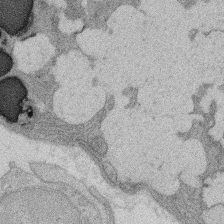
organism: Rat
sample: Salivary granule